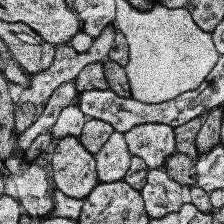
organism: Human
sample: Temporal Lobe